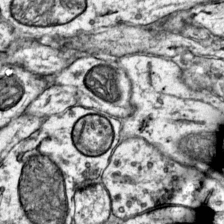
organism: Mouse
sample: Primary visual cortex